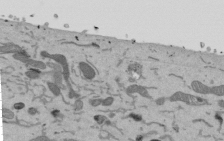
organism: Mouse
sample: ED-1 cell nuclei; centrioles